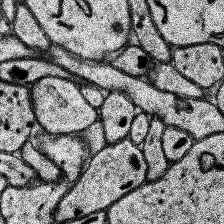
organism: Human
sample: Temporal Lobe